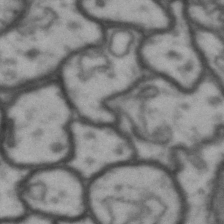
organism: Drosophila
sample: Brain